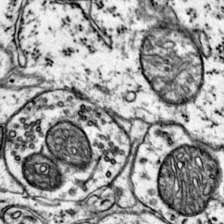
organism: Mouse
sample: Primary visual cortex